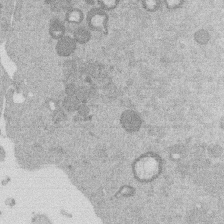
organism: Mouse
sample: Dividing mouse embryo 1 cell stage